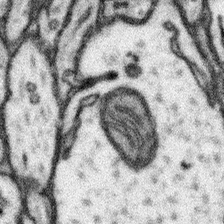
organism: Mouse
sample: Somatosensory cortex neuropil